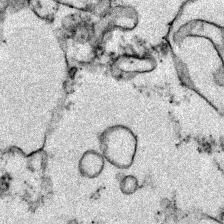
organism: Zebrafish